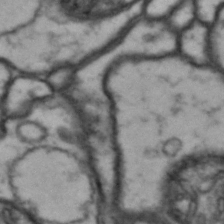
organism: Drosophila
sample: Brain